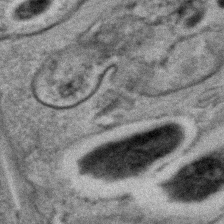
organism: C. elegans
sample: C. elegans embryo